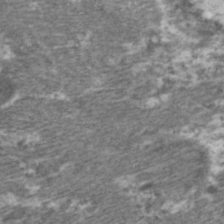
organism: C. elegans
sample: Pharynx